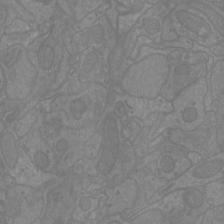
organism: Mouse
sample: Cortical neurons